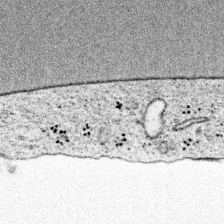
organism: Human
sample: HeLa cells